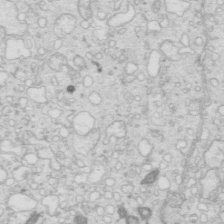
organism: Mouse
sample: Multiciliated cells